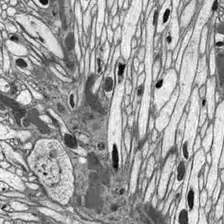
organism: Drosophila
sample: Optic lobe